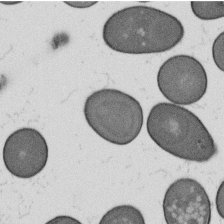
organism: B. subtilis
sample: Bacterial spore